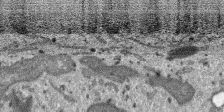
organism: Human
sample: Lung epithelial cells infected with SARS-CoV-2